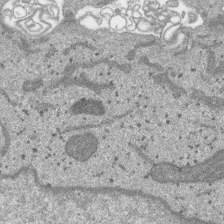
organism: Human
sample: Lung epithelial cells infected with SARS-CoV-2